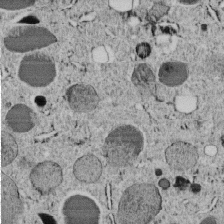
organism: C. elegans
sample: C. elegans embryo early stage